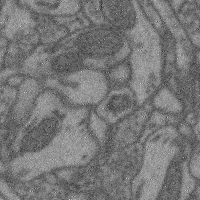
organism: Mouse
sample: Cerebral cortex